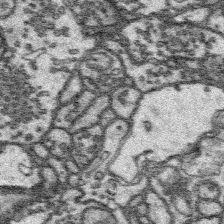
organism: Platynereis dumerilii